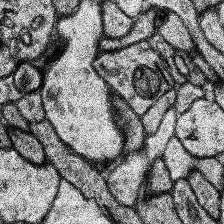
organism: Human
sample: Temporal Lobe